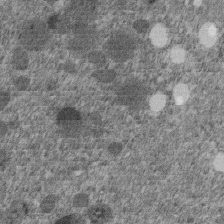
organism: C. elegans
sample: C. elegans embryo early stage